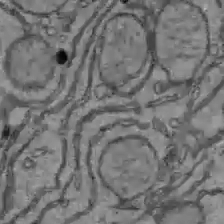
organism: C57BL Mouse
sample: Liver